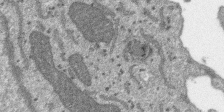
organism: Human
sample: Lung epithelial cells infected with SARS-CoV-2